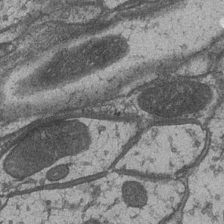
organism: Drosophila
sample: Optic medulla